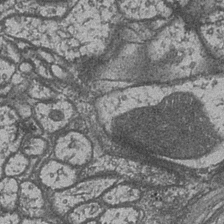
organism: Drosophila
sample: Optic medulla